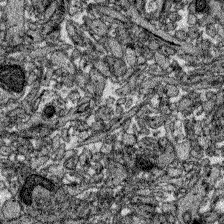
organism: Zebrafish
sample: Larval olfactory bulb